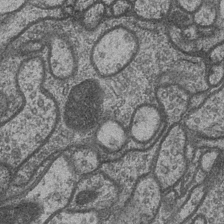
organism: Drosophila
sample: Optic medulla